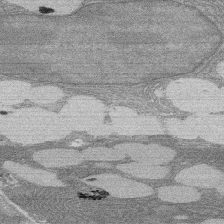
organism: Rat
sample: Salivary granule